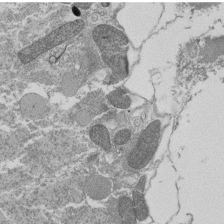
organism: Tetrahymena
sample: Cilia in tetrahymena